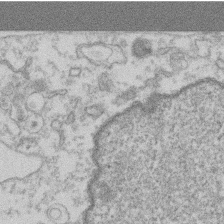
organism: Mouse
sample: T cell stromal cell synapse